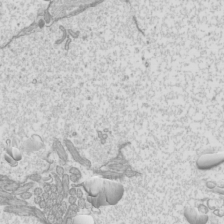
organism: Mouse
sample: Cilia; mouse epididymis